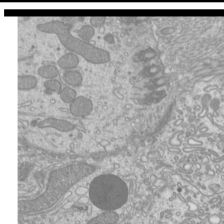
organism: Mouse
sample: Cilia; mouse epididymis